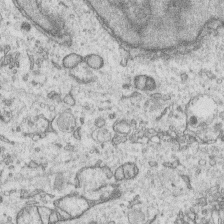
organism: Human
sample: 1205lu cells